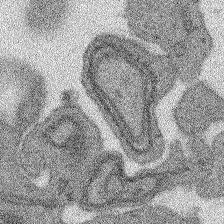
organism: Human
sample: HeLa cells